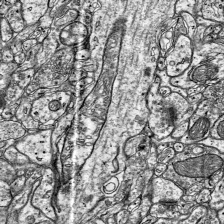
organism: Mouse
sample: Visual Cortex